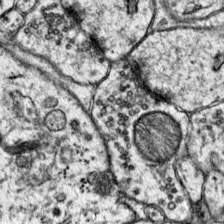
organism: Mouse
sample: Primary visual cortex